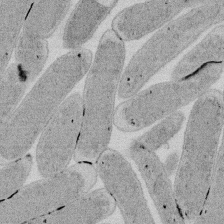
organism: E. coli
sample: Bacterial nucleoid